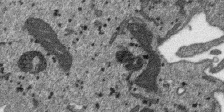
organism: Human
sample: Lung epithelial cells infected with SARS-CoV-2